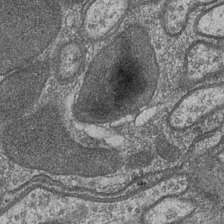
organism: Drosophila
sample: Optic medulla